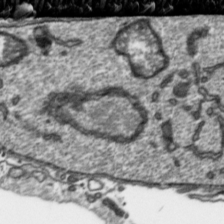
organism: Toxoplasma gondii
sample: Parasites in a vacuole inside a host cell